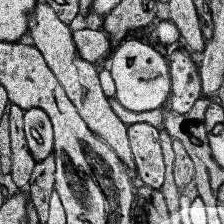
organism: Human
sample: Temporal Lobe